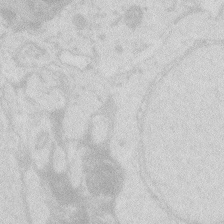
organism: Zebrafish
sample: Macrophage